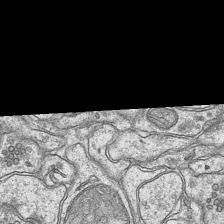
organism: Mouse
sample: CA1 Hippocampus